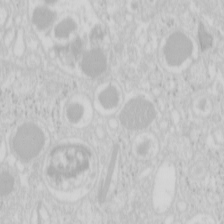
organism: Mouse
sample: Pancreas